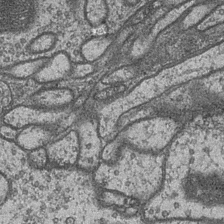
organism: Drosophila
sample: Optic medulla